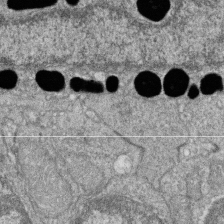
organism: Zebrafish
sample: Cilia; retinal pigment epithelium